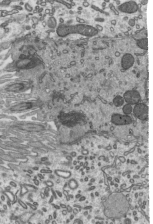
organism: Mouse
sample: Mouse epididymis efferent ductule cilia